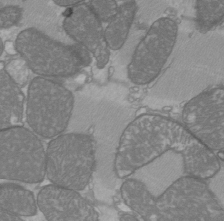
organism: C57BL Mouse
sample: Heart